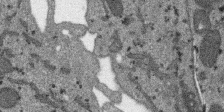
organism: Human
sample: Lung epithelial cells infected with SARS-CoV-2